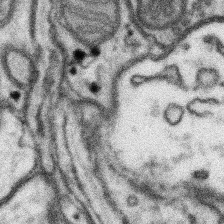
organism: Mouse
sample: Somatosensory cortex neuropil